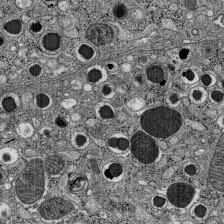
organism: C57BL Mouse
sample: Pancreatic islet